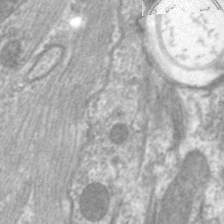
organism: C. elegans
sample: Pharynx